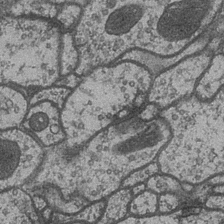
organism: Drosophila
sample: Optic medulla